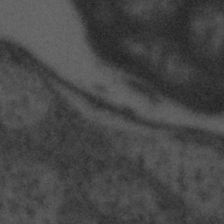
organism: Tuwongella immobilis